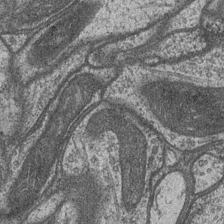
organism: Drosophila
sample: Optic medulla